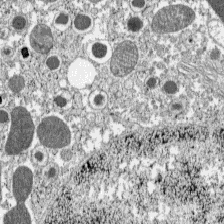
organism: C57BL Mouse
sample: Pancreatic islet